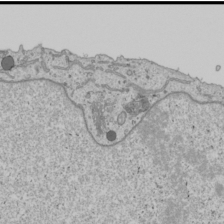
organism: Human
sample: Mitochondria in U2OS cells